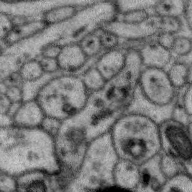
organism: Zebra finch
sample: Brain